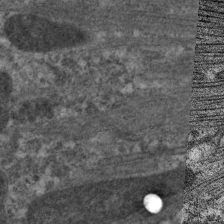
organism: C. elegans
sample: Pharynx